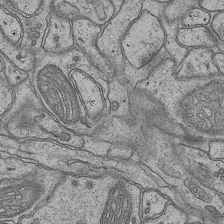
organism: Mouse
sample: CA1 Hippocampus